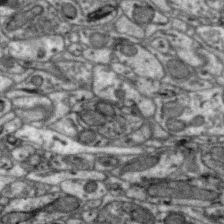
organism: Zebra finch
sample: Brain